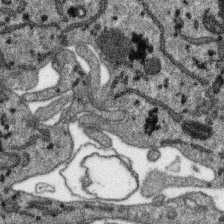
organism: Human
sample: Lung epithelial cells infected with SARS-CoV-2